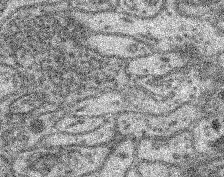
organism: Mouse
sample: Retina